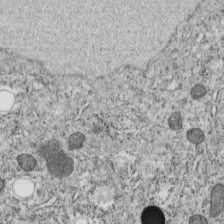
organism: C. elegans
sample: C. elegans embryo early stage